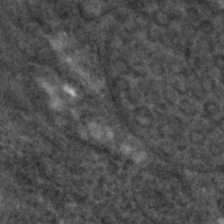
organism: C. elegans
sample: C. elegans embryo